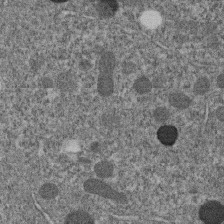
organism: C. elegans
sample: C. elegans embryo early stage